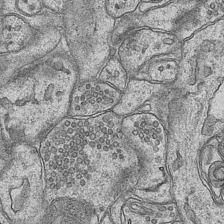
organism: Mouse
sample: CA1 Hippocampus